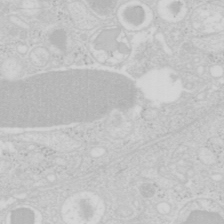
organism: Mouse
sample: Pancreas